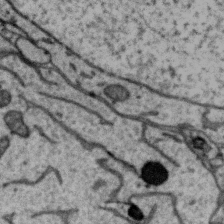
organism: Zebra finch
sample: Brain